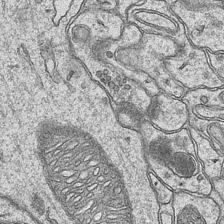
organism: Mouse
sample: CA1 Hippocampus